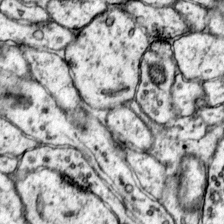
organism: Mouse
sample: Primary visual cortex